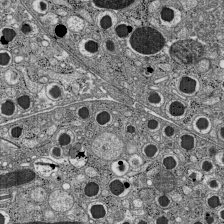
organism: C57BL Mouse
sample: Pancreatic islet